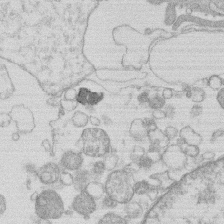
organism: Human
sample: Macrophage cells